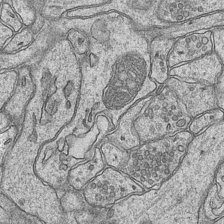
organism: Mouse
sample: CA1 Hippocampus